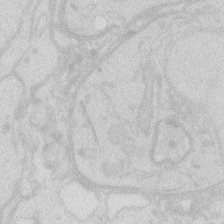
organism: Zebrafish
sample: Macrophage